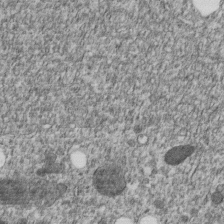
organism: C. elegans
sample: C. elegans embryo early stage